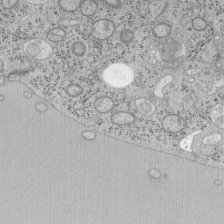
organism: Mouse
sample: OT-I killer T cells with ID8 ovarian cancer cells